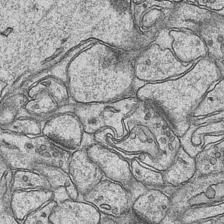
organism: Mouse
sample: CA1 Hippocampus